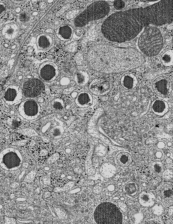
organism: C57BL Mouse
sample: Pancreatic islet